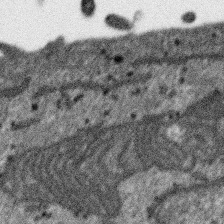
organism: Human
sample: Lung epithelial cells infected with SARS-CoV-2